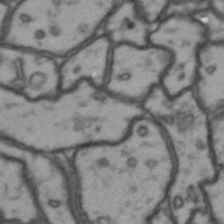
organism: Drosophila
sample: Brain